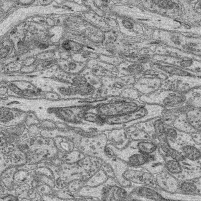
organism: Mouse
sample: Retina